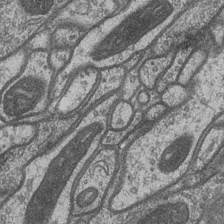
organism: Drosophila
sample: Optic medulla